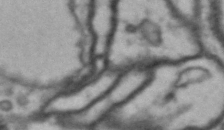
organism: Drosophila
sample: Brain